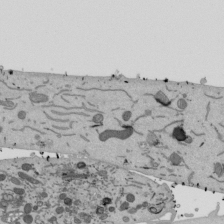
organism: Mouse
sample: ED-1 cell nuclei; centrioles